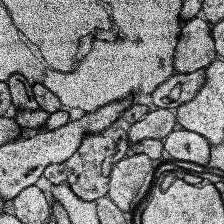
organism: Human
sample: Temporal Lobe